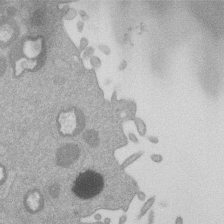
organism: Mouse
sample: Dividing mouse embryo 1 cell stage